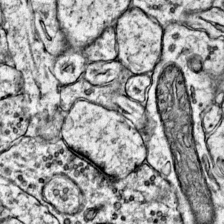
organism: Mouse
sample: Primary visual cortex